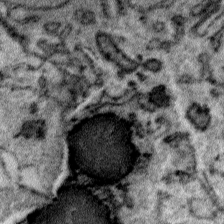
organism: Plasmodium falciparum